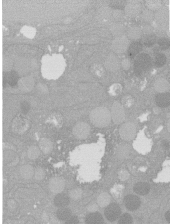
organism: C. elegans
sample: C. elegans oocyte; sperm cells